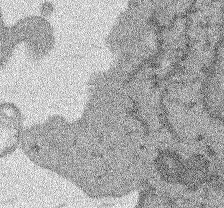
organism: Human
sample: HeLa cells